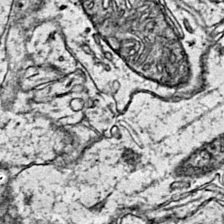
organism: Mouse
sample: Primary visual cortex